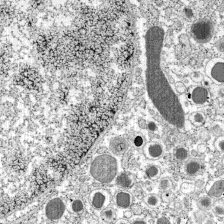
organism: C57BL Mouse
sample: Pancreatic islet